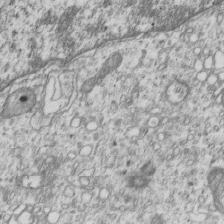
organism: Human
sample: MDA-MB-231 cells